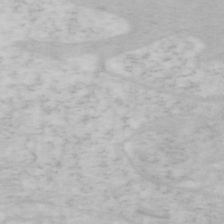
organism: Mouse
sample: OT-I killer T cells with ID8 ovarian cancer cells